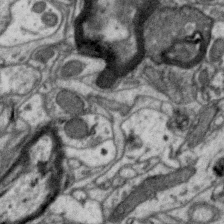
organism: Zebra finch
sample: Brain